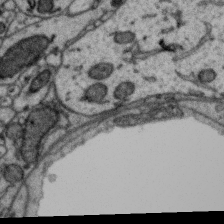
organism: Zebra finch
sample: Brain